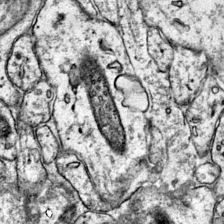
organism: Mouse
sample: Primary visual cortex